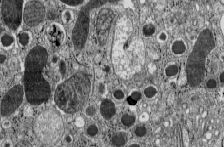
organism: C57BL Mouse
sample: Pancreatic islet